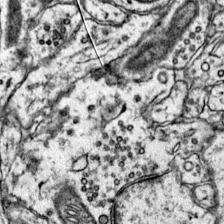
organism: Mouse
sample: Primary visual cortex